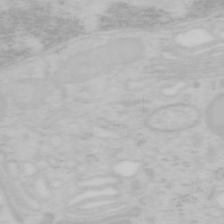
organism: Mouse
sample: OT-I killer T cells with ID8 ovarian cancer cells